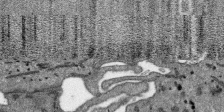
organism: Human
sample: Lung epithelial cells, uninfected (mock) control